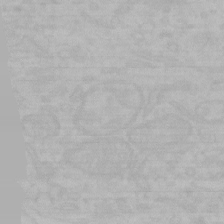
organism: Mouse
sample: Choroid plexus